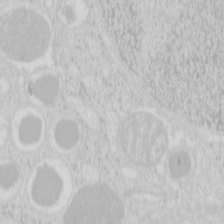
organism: Mouse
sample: Pancreas